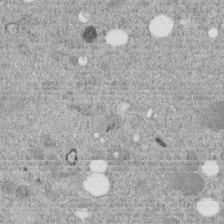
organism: C. elegans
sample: C. elegans embryo early stage